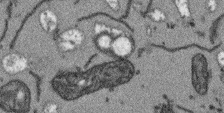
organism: Arabidopsis thaliana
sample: Root tip